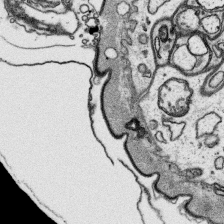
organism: Platynereis dumerilii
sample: Parapodia